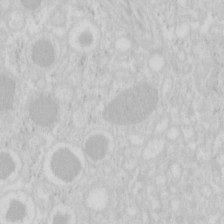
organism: Mouse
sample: Pancreas